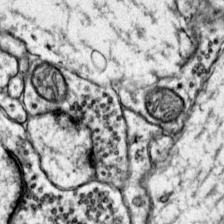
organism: Mouse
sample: Primary visual cortex